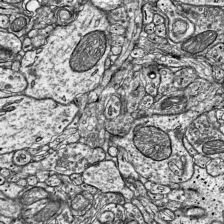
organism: Mouse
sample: Visual Cortex